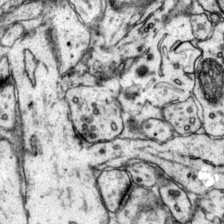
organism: Mouse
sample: Primary visual cortex